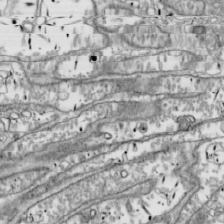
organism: Drosophila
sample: Cell division; meiosis; drosophila spermatocytes